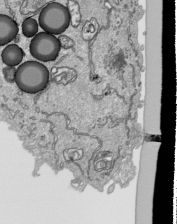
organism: Human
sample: Mitochondria in HCT116 cells